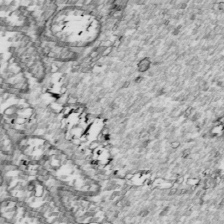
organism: Drosophila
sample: Cell division; meiosis; drosophila spermatocytes